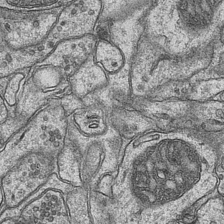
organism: Mouse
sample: CA1 Hippocampus